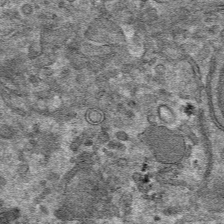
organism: Mouse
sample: Mouse hepatocytes